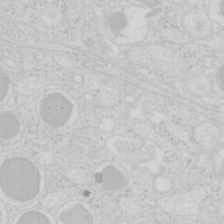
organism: Mouse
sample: Pancreas